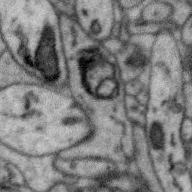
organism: Zebra finch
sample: Brain